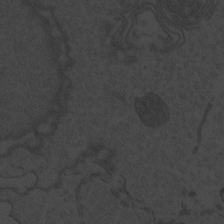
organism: Zebrafish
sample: Macrophage infected with Toxoplasma gondii